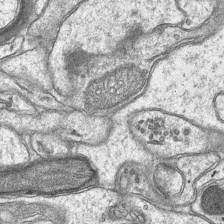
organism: Mouse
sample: CA1 Hippocampus